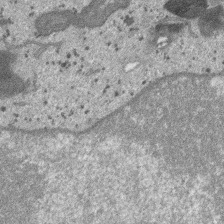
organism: Human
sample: Lung epithelial cells infected with SARS-CoV-2